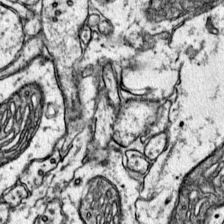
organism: Mouse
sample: Primary visual cortex